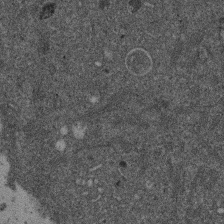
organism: Mouse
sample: Dividing mouse embryo 1 cell stage